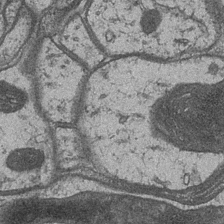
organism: Drosophila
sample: Optic medulla